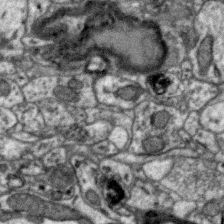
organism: Zebra finch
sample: Brain